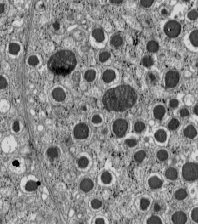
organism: C57BL Mouse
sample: Pancreatic islet